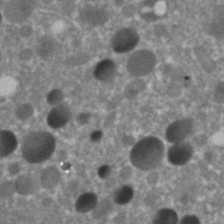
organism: C. elegans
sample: C. elegans embryo